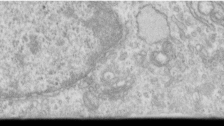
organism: Human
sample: Centriole in RPE cells